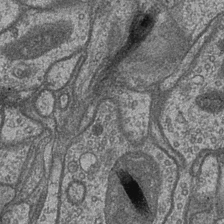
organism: Drosophila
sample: Optic medulla